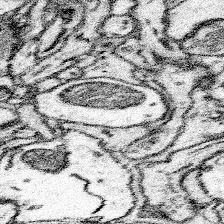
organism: Mouse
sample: Somatosensory cortex neuropil